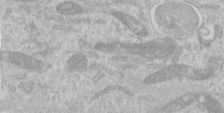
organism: Human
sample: Centriole in RPE cells